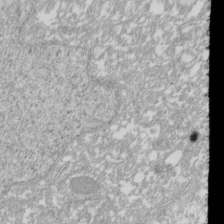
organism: Xenopus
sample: Cilia; centrioles in frog embryo cells